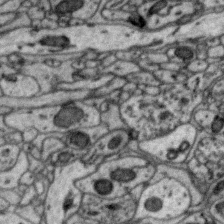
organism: Zebra finch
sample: Brain